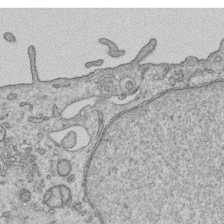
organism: Human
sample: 1205lu cells